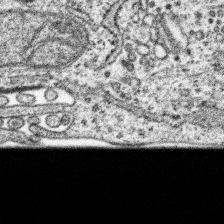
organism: Human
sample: HeLa cells